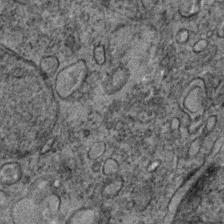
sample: Trachea